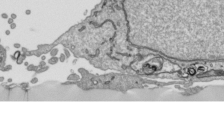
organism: Human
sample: Mitochondria in HCT116 cells